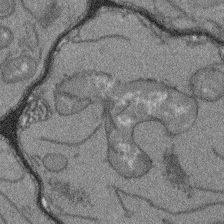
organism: Arabidopsis thaliana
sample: Root tip